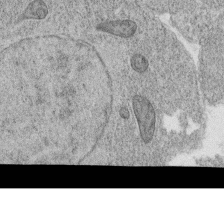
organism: C. elegans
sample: C. elegans oocyte; sperm cells